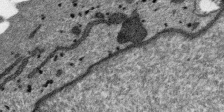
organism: Human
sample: Lung epithelial cells, uninfected (mock) control